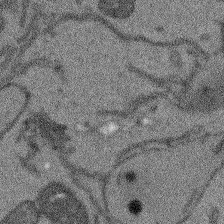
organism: Arabidopsis thaliana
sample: Root tip